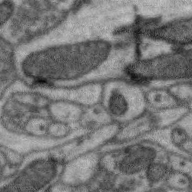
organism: Zebra finch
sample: Brain